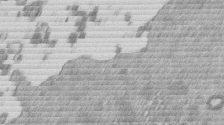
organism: Mouse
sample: Dividing mouse embryo 1 cell stage